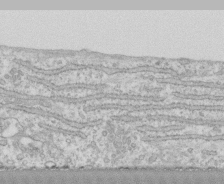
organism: Human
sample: CRL-1474